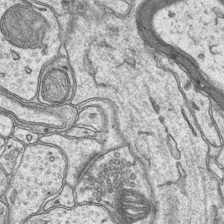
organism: Mouse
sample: CA1 Hippocampus